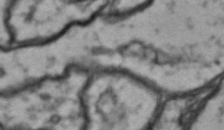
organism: Drosophila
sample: Brain